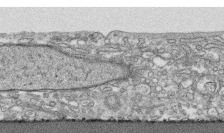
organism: Human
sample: CRL-1474